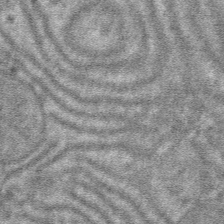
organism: Mouse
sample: Mouse hepatocytes